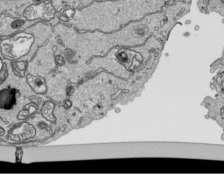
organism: Human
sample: Mitochondria in HCT116 cells